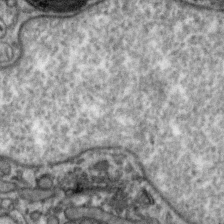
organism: Zebra finch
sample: Brain